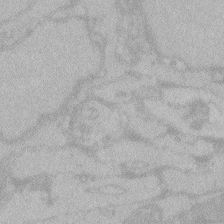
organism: Zebrafish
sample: Macrophage infected with Toxoplasma gondii